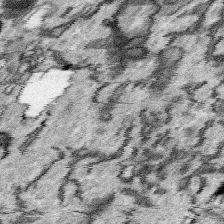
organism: Human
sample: HeLa cells